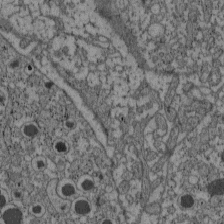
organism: C57BL Mouse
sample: Pancreatic islet